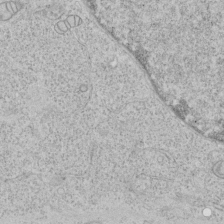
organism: Human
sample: Mitochondria in HCT116 cells